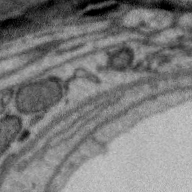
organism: Zebra finch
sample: Brain